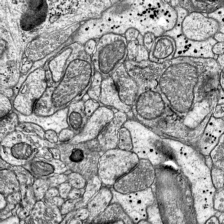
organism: Mouse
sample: Visual Cortex